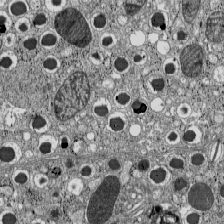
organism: C57BL Mouse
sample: Pancreatic islet